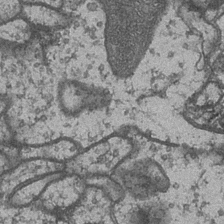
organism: Drosophila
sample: Optic medulla